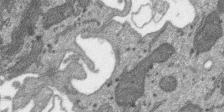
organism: Human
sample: Lung epithelial cells infected with SARS-CoV-2